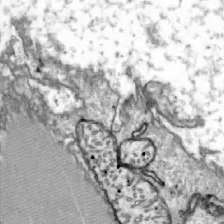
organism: Zebrafish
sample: Actinotrichia fibers